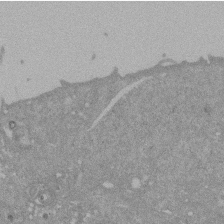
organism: Mouse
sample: ED-1 cell nuclei; centrioles